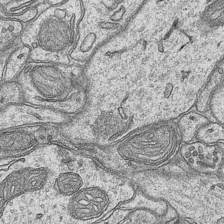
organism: Mouse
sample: CA1 Hippocampus